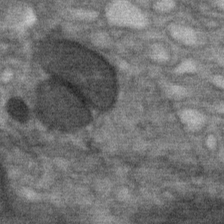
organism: Mouse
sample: Mouse Salivary gland